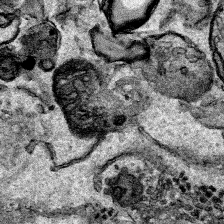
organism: Human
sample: Mitochondria in HCT116 cells